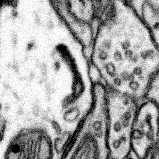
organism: Mouse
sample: Somatosensory cortex neuropil